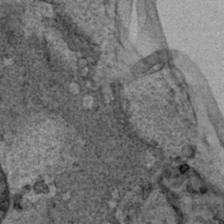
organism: Human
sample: Mitochondria in HCT116 cells